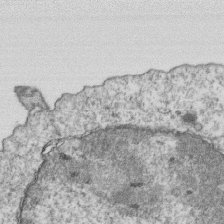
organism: Mouse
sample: Activated OT-1 CD8+ T cells